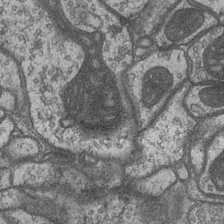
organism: Drosophila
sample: Optic medulla